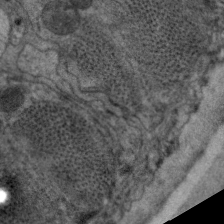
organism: C. elegans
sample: Pharynx